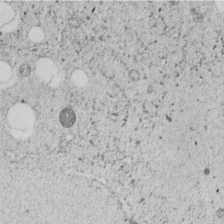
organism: C. elegans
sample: C. elegans embryo early stage